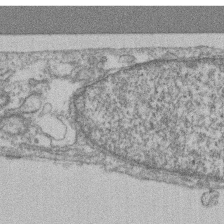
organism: Mouse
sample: T cell stromal cell synapse